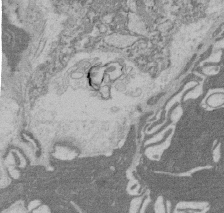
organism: Rat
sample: Salivary granule